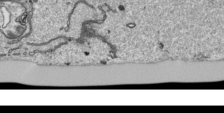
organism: Human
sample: Mitochondria in HCT116 cells